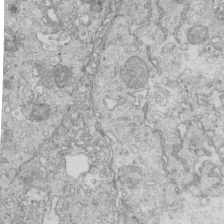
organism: Mouse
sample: Multiciliated cells